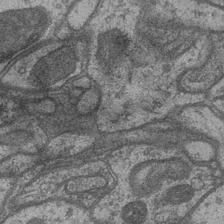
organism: Drosophila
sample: Optic medulla